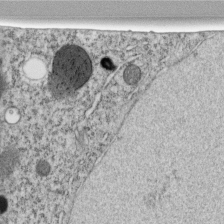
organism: C. elegans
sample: C. elegans embryo early stage